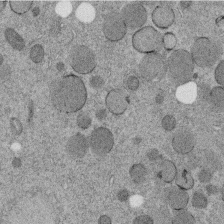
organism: C. elegans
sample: C. elegans embryo early stage